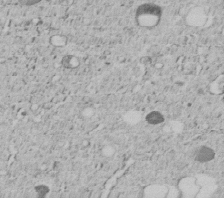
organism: C. elegans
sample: C. elegans embryo early stage